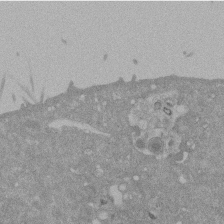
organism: Mouse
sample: ED-1 cell nuclei; centrioles